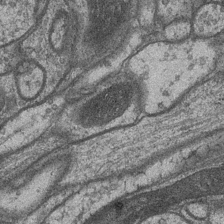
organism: Drosophila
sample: Optic medulla